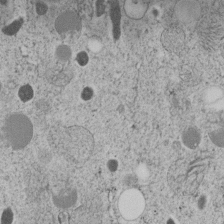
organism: C. elegans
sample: C. elegans embryo early stage